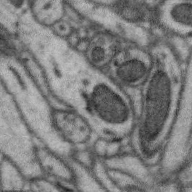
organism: Zebra finch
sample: Brain